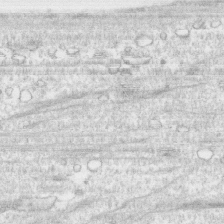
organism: Human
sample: CRL-1474